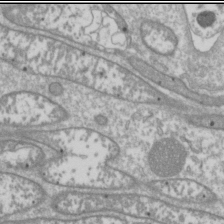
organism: Drosophila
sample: Cell division; meiosis; drosophila spermatocytes